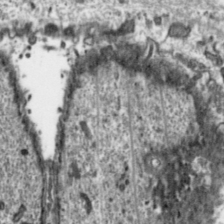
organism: Toxoplasma gondii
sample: Parasites in a vacuole inside a host cell